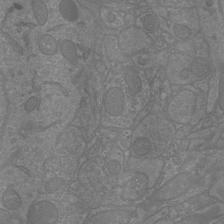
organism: Mouse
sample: Cortical neurons